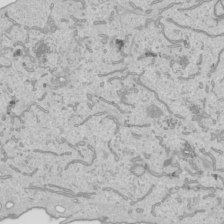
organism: Human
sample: Mitochondria in HCT116 cells